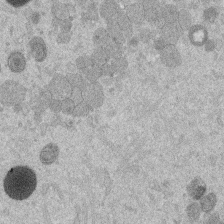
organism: Mouse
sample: Dividing mouse embryo 1 cell stage